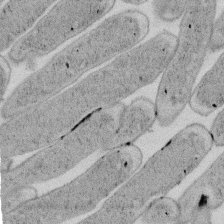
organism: E. coli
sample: Bacterial nucleoid